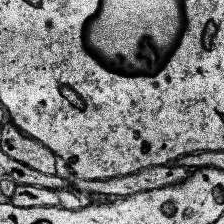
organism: Human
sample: Temporal Lobe